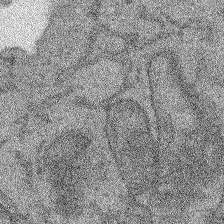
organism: Human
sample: HeLa cells